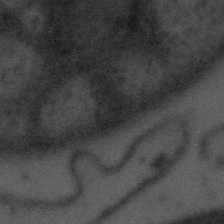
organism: Tuwongella immobilis